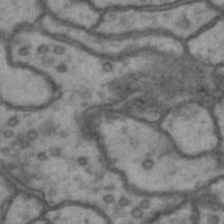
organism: Drosophila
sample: Brain